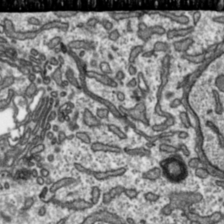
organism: Toxoplasma gondii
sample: Parasites in a vacuole inside a host cell